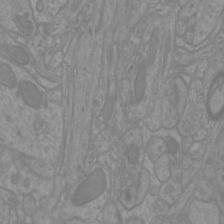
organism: Mouse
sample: Cortical neurons